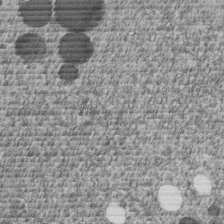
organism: C. elegans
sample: C. elegans embryo early stage